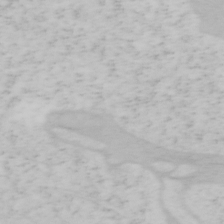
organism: Mouse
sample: OT-I killer T cells with ID8 ovarian cancer cells